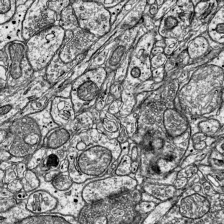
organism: Mouse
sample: Visual Cortex